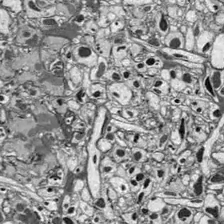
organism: Drosophila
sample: Optic lobe